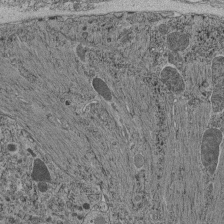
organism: C. elegans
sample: C. elegans pharynx